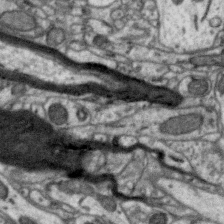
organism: Zebra finch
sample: Brain